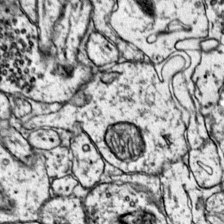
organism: Mouse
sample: Primary visual cortex